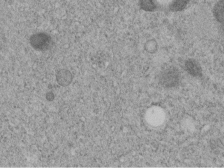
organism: C. elegans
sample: C. elegans embryo early stage